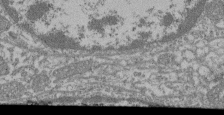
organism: Mouse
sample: Glomerulus